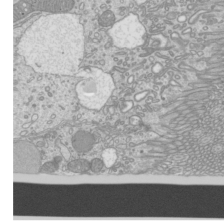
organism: Mouse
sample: Cilia; mouse epididymis